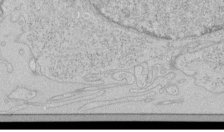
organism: Human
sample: Mitochondria in HCT116 cells